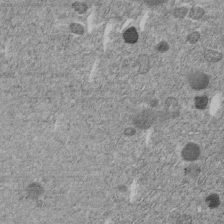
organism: C. elegans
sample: C. elegans embryo early stage